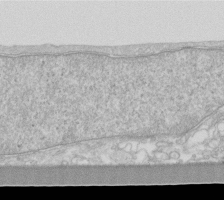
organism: Human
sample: Fibroblast cells